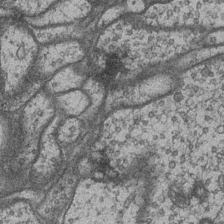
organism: Drosophila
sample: Optic medulla